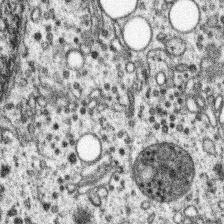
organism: Human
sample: HeLa cells